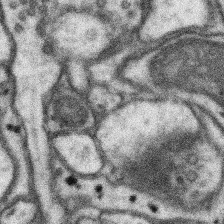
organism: Mouse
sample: Somatosensory cortex neuropil